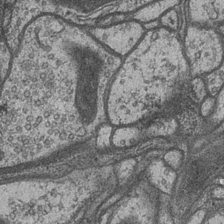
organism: Drosophila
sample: Optic medulla